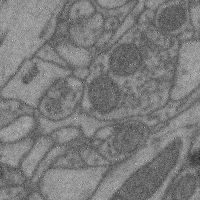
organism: Mouse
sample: Cerebral cortex